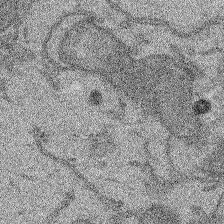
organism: Human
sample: HeLa cells